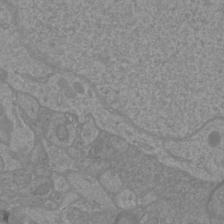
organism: Mouse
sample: Cortical neurons